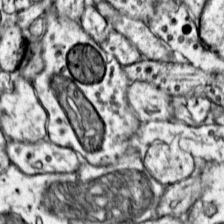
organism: Mouse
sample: Primary visual cortex